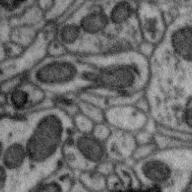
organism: Zebra finch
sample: Brain